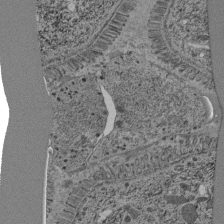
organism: C. elegans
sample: C. elegans pharynx